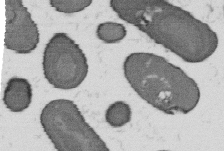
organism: B. subtilis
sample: Bacterial spore